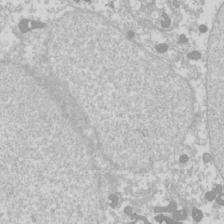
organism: Drosophila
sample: Cell division; meiosis; drosophila spermatocytes